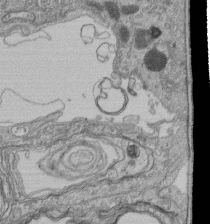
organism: Human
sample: Retinal organoid Rod and Cone cells